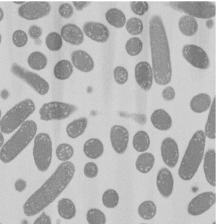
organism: E. coli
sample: Bacterial nucleoid